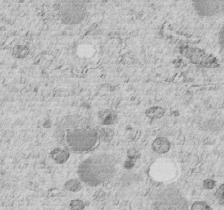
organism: C. elegans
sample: C. elegans embryo early stage